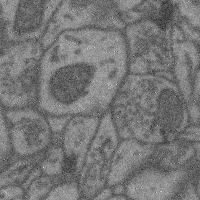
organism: Mouse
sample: Cerebral cortex